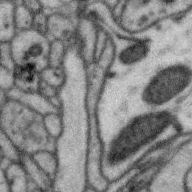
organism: Zebra finch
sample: Brain